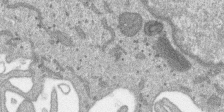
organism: Human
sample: Lung epithelial cells infected with SARS-CoV-2